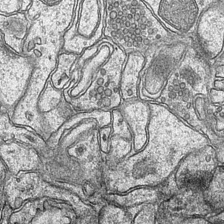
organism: Mouse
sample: CA1 Hippocampus